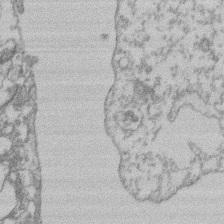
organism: Mouse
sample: T cell stromal cell synapse